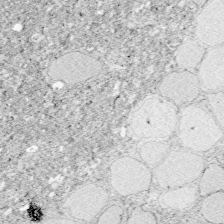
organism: Zebrafish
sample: Whole-Brain